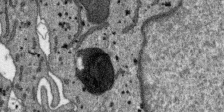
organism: Human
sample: Lung epithelial cells, uninfected (mock) control